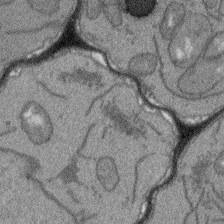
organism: Arabidopsis thaliana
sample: Root tip